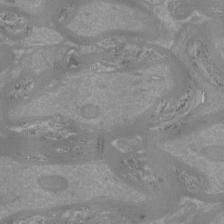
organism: Mouse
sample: Cortical neurons